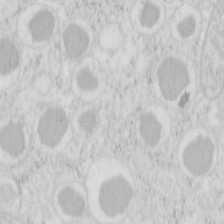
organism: Mouse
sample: Pancreas